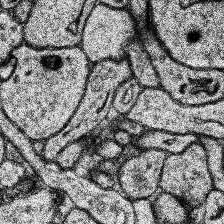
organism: Human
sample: Temporal Lobe